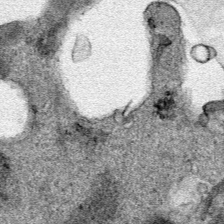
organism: Human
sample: Mitochondria in HCT116 cells